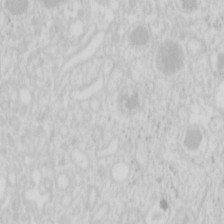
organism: Mouse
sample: Pancreas